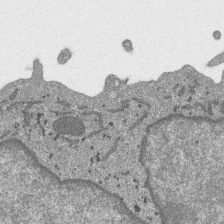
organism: Human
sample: Lung epithelial cells infected with SARS-CoV-2